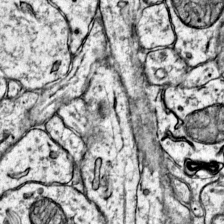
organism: Mouse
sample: Primary visual cortex